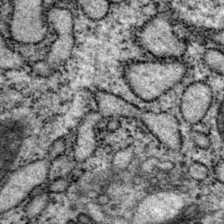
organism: P. pacificus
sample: Pharynx